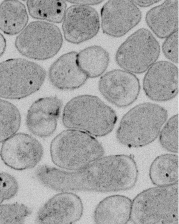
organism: E. coli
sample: Bacterial nucleoid